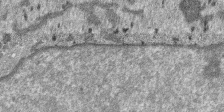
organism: Human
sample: Lung epithelial cells infected with SARS-CoV-2